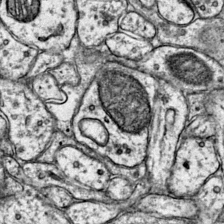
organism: Mouse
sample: Primary visual cortex